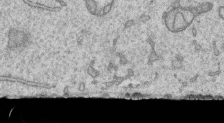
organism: Human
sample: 1205lu cells